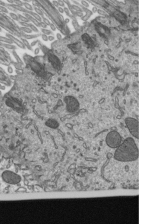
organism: Mouse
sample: Mouse epididymis efferent ductule cilia